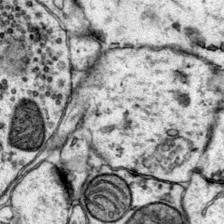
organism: Mouse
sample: Primary visual cortex